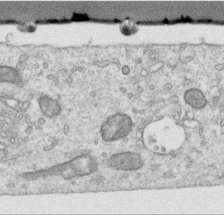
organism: Human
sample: Centriole in RPE cells